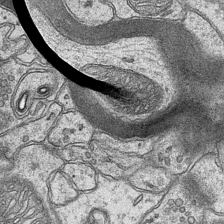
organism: Mouse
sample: CA1 Hippocampus